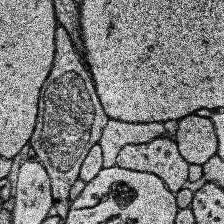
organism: Human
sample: Temporal Lobe